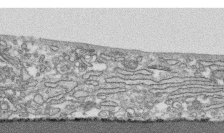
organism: Human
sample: CRL-1474